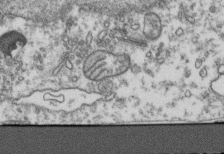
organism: Human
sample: Activated Jurkat CD4+ T cells